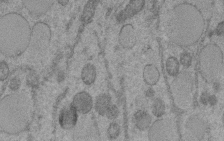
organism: C. elegans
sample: C. elegans embryo early stage